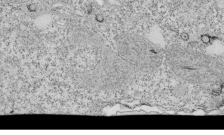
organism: Tetrahymena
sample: Cilia in tetrahymena